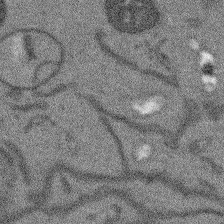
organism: Arabidopsis thaliana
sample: Root tip